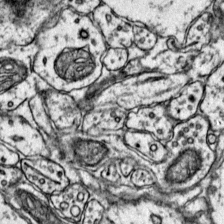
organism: Mouse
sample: Primary visual cortex